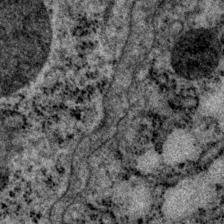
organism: P. pacificus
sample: Pharynx